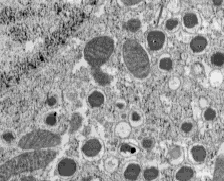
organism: C57BL Mouse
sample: Pancreatic islet